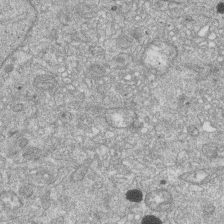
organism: Human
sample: HeLa cell HIV synapse